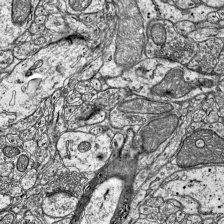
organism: Mouse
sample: Visual Cortex